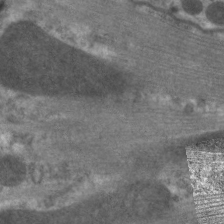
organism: C. elegans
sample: Pharynx